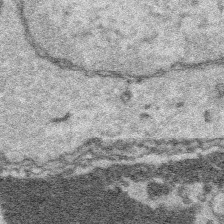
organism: Platynereis dumerilii